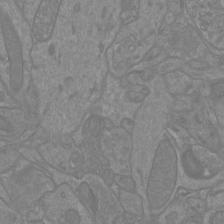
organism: Mouse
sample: Cortical neurons